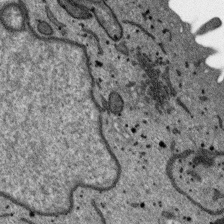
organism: Human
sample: Lung epithelial cells, uninfected (mock) control